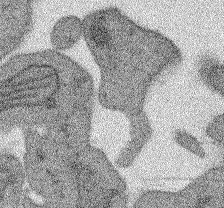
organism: Human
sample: HeLa cells